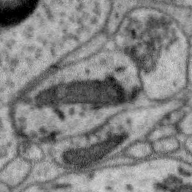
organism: Zebra finch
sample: Brain